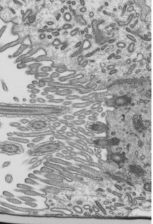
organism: Mouse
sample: Mouse epididymis efferent ductule cilia